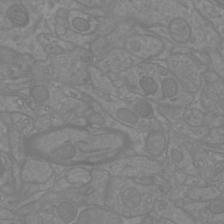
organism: Mouse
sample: Cortical neurons